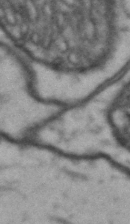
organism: Drosophila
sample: Brain